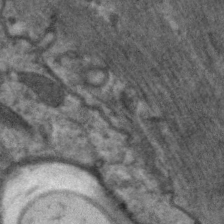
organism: C. elegans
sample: Pharynx